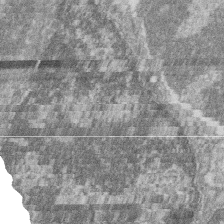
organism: Zebrafish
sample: Cilia; retinal pigment epithelium